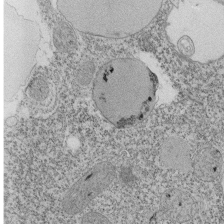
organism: Tetrahymena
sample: Cilia in tetrahymena